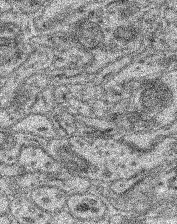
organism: Mouse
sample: Retina